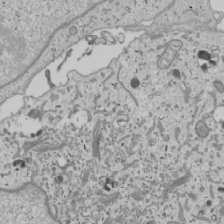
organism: Human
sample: Mitochondria in U2OS cells